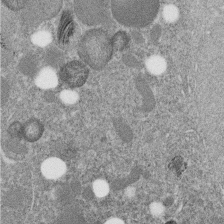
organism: C. elegans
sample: C. elegans embryo early stage